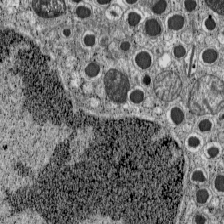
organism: C57BL Mouse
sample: Pancreatic islet